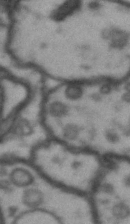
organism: Drosophila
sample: Brain